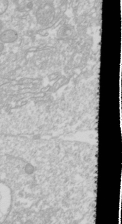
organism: Drosophila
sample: Cell division; meiosis; drosophila spermatocytes